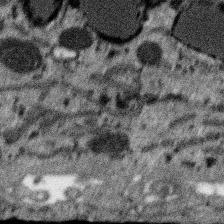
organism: Human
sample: Lung epithelial cells infected with SARS-CoV-2